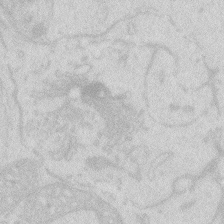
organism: Zebrafish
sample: Macrophage